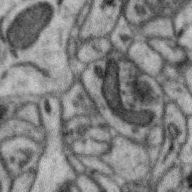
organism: Zebra finch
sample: Brain